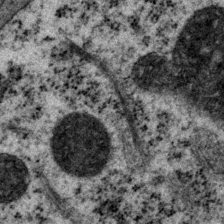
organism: P. pacificus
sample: Pharynx